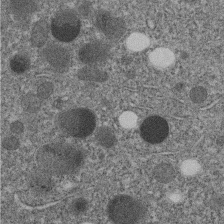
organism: C. elegans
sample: C. elegans embryo early stage